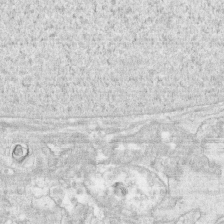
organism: Human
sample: CRL-1474